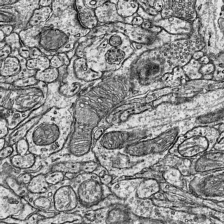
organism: Mouse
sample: Visual Cortex